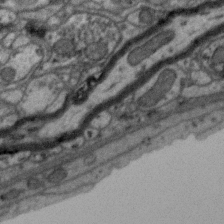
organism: Zebra finch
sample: Brain